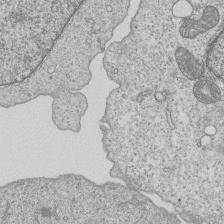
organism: Human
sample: MDA-MB-231 cells